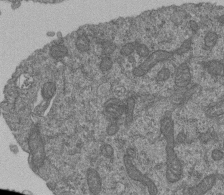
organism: Human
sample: Retinal organoid Rod and Cone cells